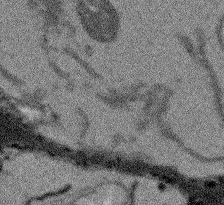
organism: Arabidopsis thaliana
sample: Root tip